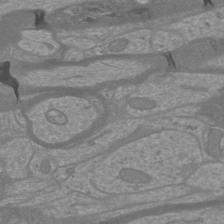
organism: Mouse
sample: Cortical neurons